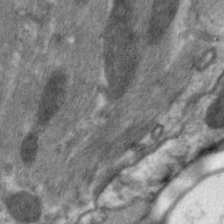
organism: C. elegans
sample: Pharynx